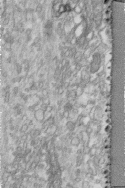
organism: Human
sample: Centriole in fibroblast cells